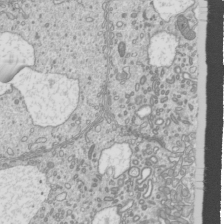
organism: Mouse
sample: Cilia; mouse epididymis